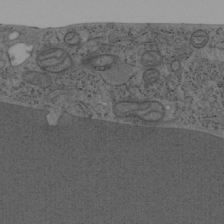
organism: Human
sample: HeLa cells